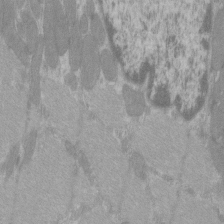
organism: C57BL Mouse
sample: Tibialis anterior muscle cell